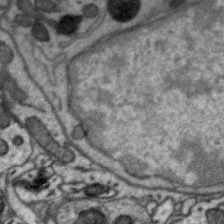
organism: Zebra finch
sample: Brain